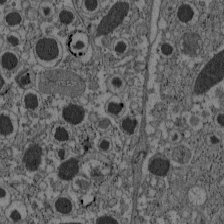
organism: C57BL Mouse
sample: Pancreatic islet